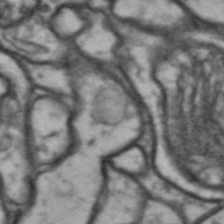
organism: Drosophila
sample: Brain